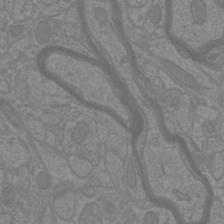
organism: Mouse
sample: Cortical neurons